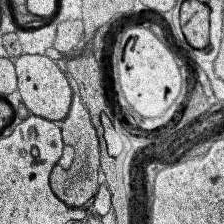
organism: Human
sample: Temporal Lobe